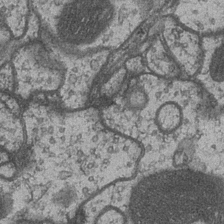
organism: Drosophila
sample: Optic medulla